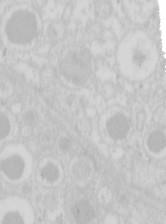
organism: Mouse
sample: Pancreas